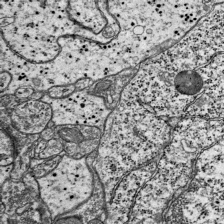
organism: Mouse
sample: Visual Cortex